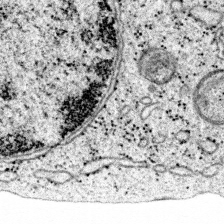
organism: Human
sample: HeLa cells